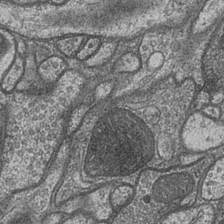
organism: Drosophila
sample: Optic medulla